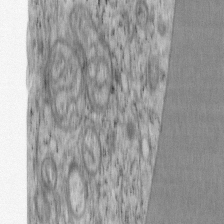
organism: Human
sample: HeLa cells